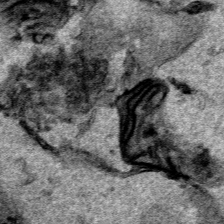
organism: Human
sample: Mitochondria in HCT116 cells